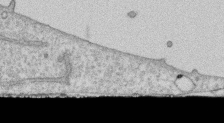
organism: Human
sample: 1205lu cells